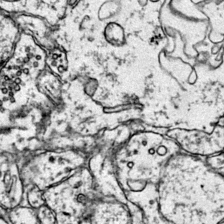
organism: Mouse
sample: Primary visual cortex